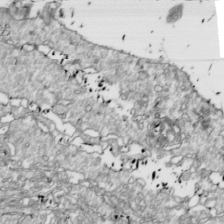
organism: Drosophila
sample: Cell division; meiosis; drosophila spermatocytes